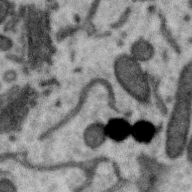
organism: Zebra finch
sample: Brain